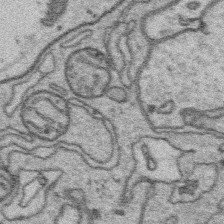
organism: Platynereis dumerilii